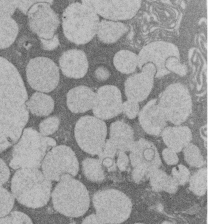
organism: Rat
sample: Salivary granule